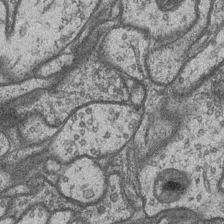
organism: Drosophila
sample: Optic medulla